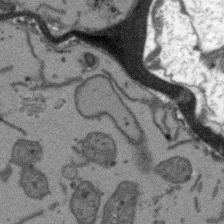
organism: Arabidopsis thaliana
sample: Root tip